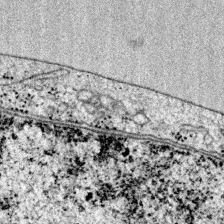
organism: Human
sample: HeLa cells